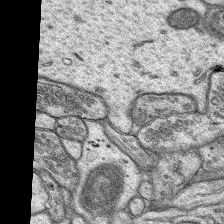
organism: Rat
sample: Hippocampus